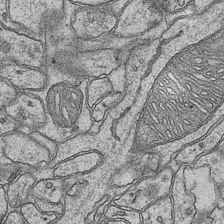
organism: Mouse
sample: CA1 Hippocampus